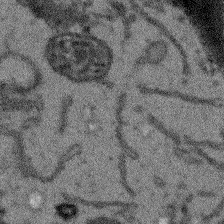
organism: Arabidopsis thaliana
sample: Root tip